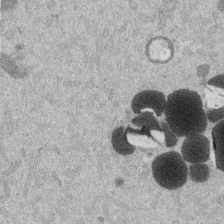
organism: Mouse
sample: Dividing mouse embryo 1 cell stage